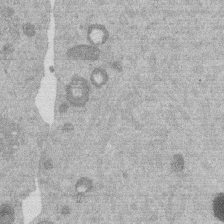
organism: Mouse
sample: Dividing mouse embryo 1 cell stage